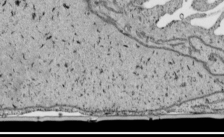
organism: Human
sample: Mitochondria in HCT116 cells